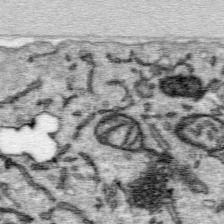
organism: Human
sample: HeLa cells